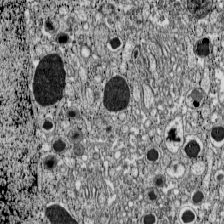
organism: C57BL Mouse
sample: Pancreatic islet